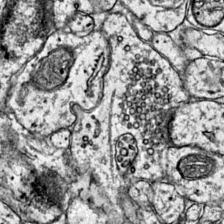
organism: Mouse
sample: Primary visual cortex